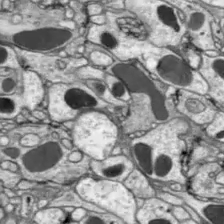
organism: Drosophila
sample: Optic lobe